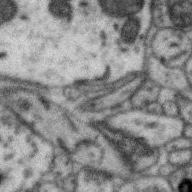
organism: Zebra finch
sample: Brain